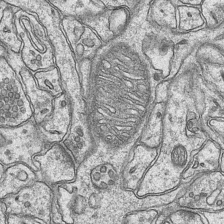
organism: Mouse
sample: CA1 Hippocampus